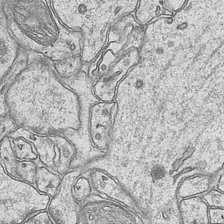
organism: Mouse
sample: CA1 Hippocampus